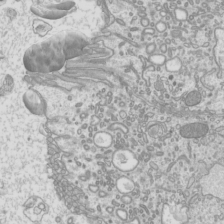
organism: Mouse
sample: Cilia; mouse epididymis